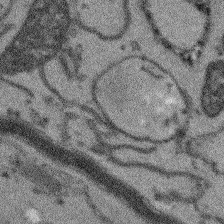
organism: Arabidopsis thaliana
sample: Root tip